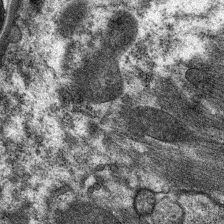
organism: C. elegans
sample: Pharynx